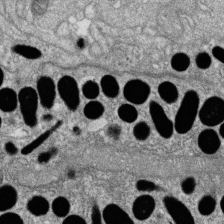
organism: Zebrafish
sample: Cilia; retinal pigment epithelium